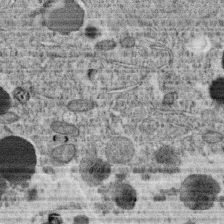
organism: C. elegans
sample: C. elegans oocyte; sperm cells